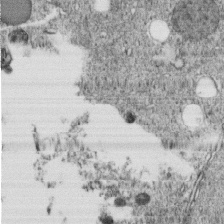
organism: C. elegans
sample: C. elegans embryo early stage